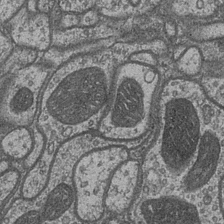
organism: Drosophila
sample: Optic medulla